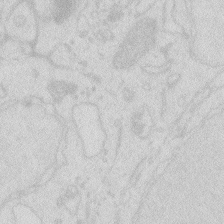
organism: Zebrafish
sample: Macrophage